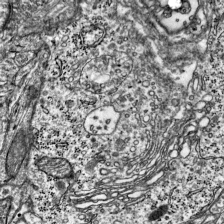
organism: Mouse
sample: Visual Cortex